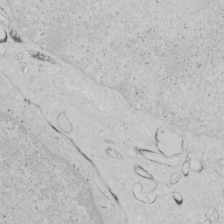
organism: Human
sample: Mitochondria in HCT116 cells